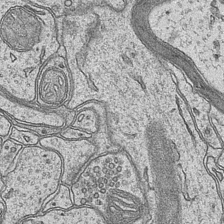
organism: Mouse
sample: CA1 Hippocampus